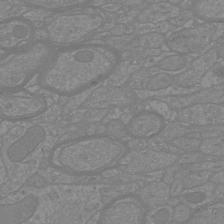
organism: Mouse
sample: Cortical neurons